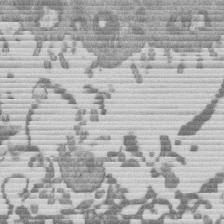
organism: Mouse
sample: Dividing mouse embryo 1 cell stage